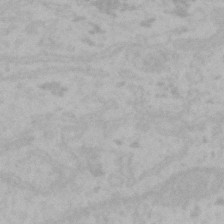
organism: Mouse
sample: Choroid plexus